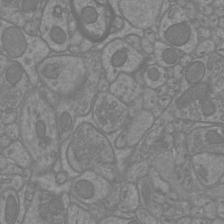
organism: Mouse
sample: Cortical neurons